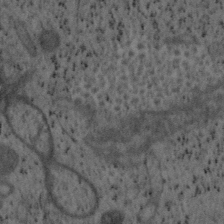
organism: Human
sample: HeLa cells